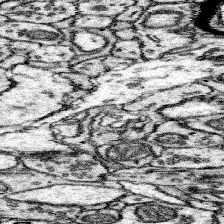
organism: Mouse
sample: Somatosensory cortex neuropil